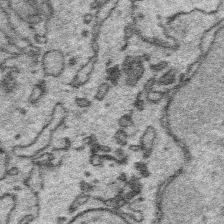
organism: Platynereis dumerilii